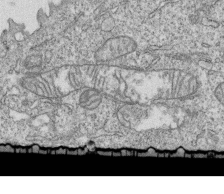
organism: Human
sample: HeLa cell HIV synapse